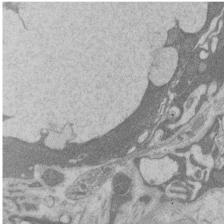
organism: Rat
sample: Salivary granule